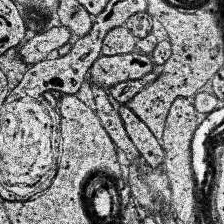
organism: Human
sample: Temporal Lobe